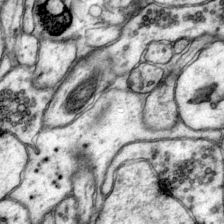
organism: Mouse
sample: Primary visual cortex